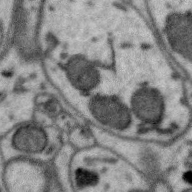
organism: Zebra finch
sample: Brain